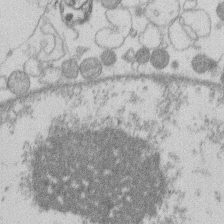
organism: Human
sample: Macrophage cells